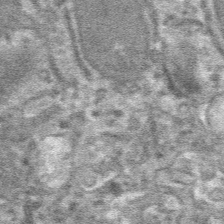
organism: Mouse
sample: Mouse hepatocytes